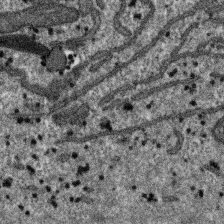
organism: Human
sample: Lung epithelial cells infected with SARS-CoV-2